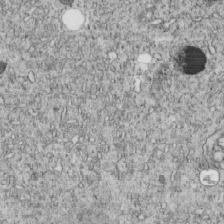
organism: C. elegans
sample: C. elegans embryo early stage